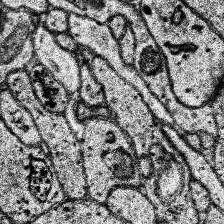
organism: Human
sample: Temporal Lobe